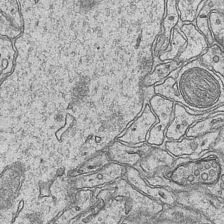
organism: Mouse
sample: CA1 Hippocampus